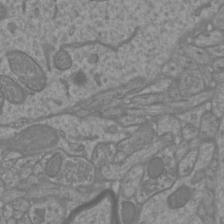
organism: Mouse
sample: Cortical neurons